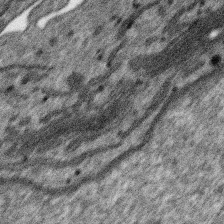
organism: Human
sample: Lung epithelial cells infected with SARS-CoV-2